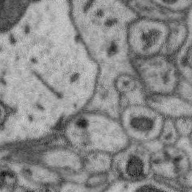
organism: Zebra finch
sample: Brain